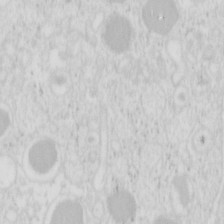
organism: Mouse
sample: Pancreas